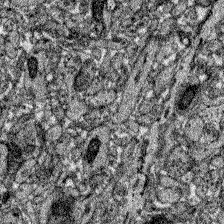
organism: Zebrafish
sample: Larval olfactory bulb